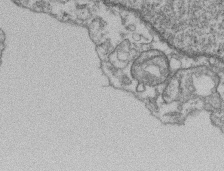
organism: Mouse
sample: T cell stromal cell synapse